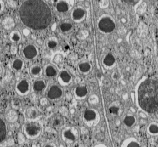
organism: C57BL Mouse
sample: Pancreatic islet